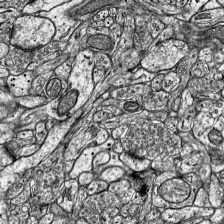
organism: Mouse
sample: Visual Cortex